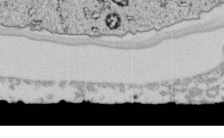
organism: C. elegans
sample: C. elegans embryo early stage